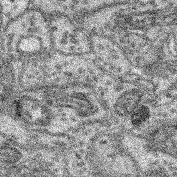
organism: Mouse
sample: Retina